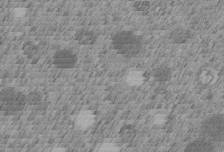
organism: C. elegans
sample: C. elegans embryo early stage